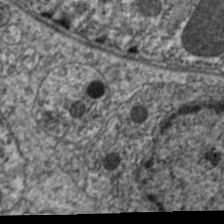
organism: C. elegans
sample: Pharynx